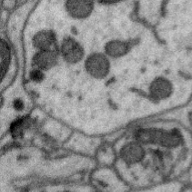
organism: Zebra finch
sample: Brain